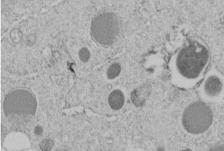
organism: C. elegans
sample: C. elegans embryo early stage